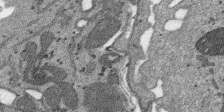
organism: Human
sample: Lung epithelial cells infected with SARS-CoV-2